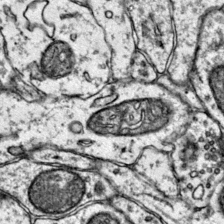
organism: Mouse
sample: Primary visual cortex